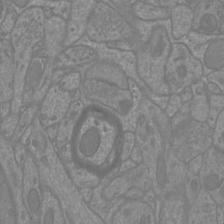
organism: Mouse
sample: Cortical neurons